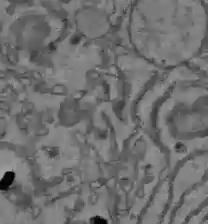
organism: C57BL Mouse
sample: Liver